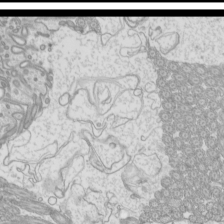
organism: Mouse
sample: Cilia; mouse epididymis